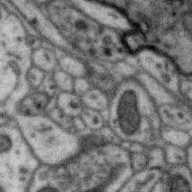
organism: Zebra finch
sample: Brain